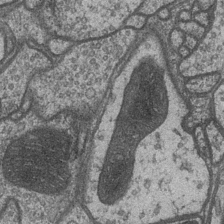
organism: Drosophila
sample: Optic medulla